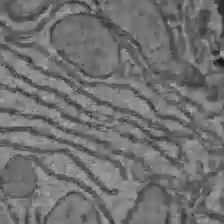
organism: C57BL Mouse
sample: Liver